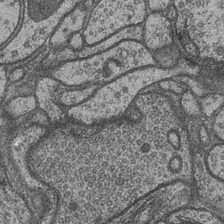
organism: Drosophila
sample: Optic medulla